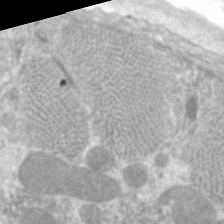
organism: C. elegans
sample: Pharynx